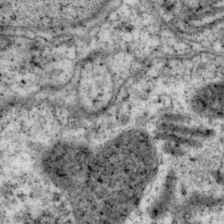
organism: P. pacificus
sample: Pharynx